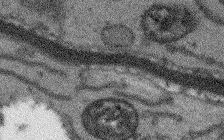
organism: Arabidopsis thaliana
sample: Root tip